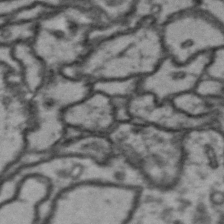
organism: Drosophila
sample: Brain